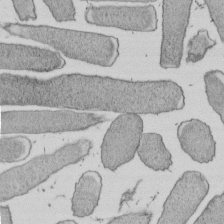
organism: E. coli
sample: Bacterial nucleoid